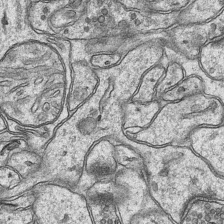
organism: Mouse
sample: CA1 Hippocampus